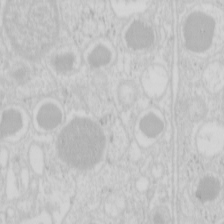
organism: Mouse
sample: Pancreas